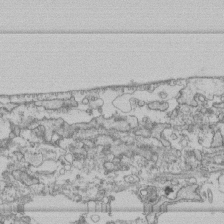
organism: Human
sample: Fibroblast cells